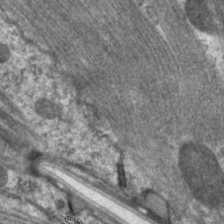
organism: C. elegans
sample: Pharynx